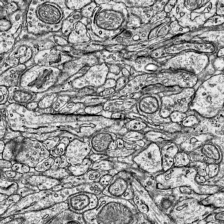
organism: Mouse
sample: Visual Cortex